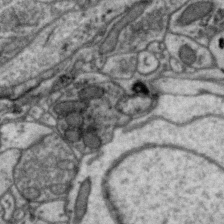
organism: Zebra finch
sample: Brain